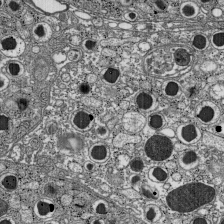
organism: C57BL Mouse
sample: Pancreatic islet